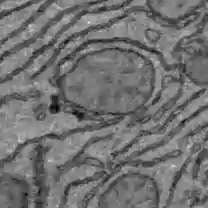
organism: C57BL Mouse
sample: Liver